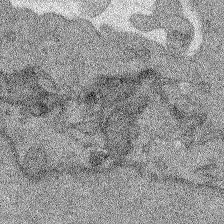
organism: Human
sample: HeLa cells